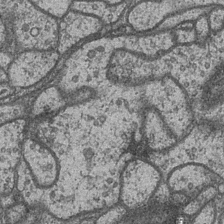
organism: Drosophila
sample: Optic medulla